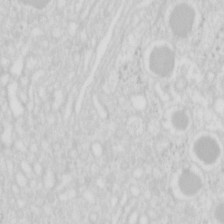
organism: Mouse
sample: Pancreas